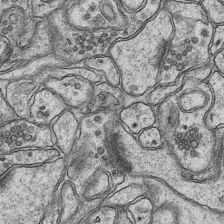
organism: Mouse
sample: CA1 Hippocampus